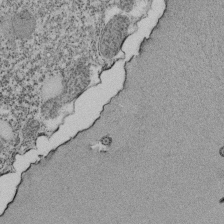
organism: Tetrahymena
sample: Cilia in tetrahymena